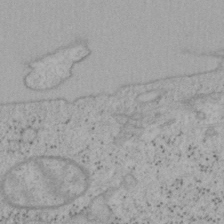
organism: Human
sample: HeLa cells